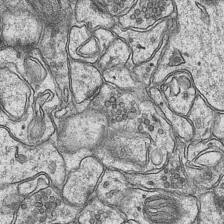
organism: Mouse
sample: CA1 Hippocampus